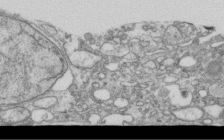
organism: Human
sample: Centriole in RPE cells